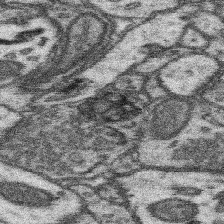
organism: Mouse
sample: Somatosensory cortex neuropil